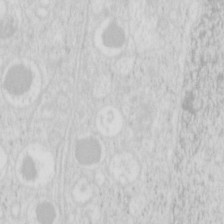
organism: Mouse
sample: Pancreas